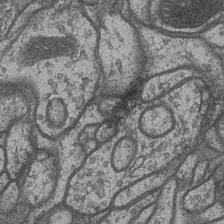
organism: Drosophila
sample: Optic medulla